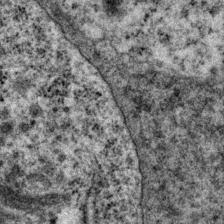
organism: P. pacificus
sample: Pharynx